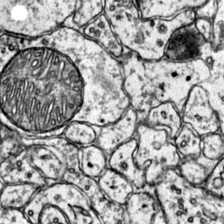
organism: Mouse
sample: Primary visual cortex